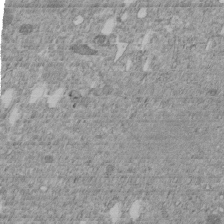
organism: C. elegans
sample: C. elegans embryo early stage